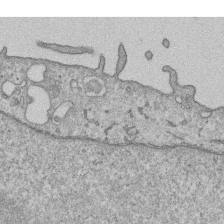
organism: Human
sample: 1205lu cells